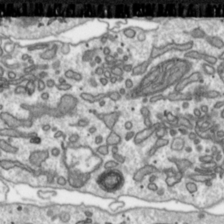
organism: Toxoplasma gondii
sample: Parasites in a vacuole inside a host cell